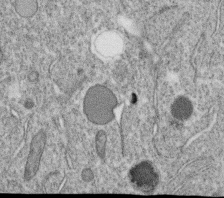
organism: C. elegans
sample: C. elegans oocyte; sperm cells